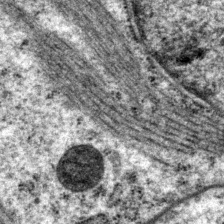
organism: P. pacificus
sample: Pharynx